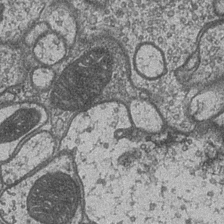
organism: Drosophila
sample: Optic medulla